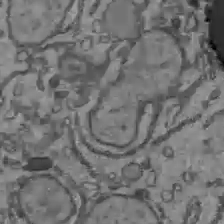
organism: C57BL Mouse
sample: Liver